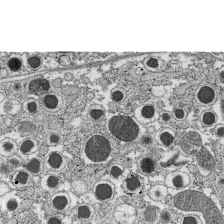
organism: C57BL Mouse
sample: Pancreatic islet